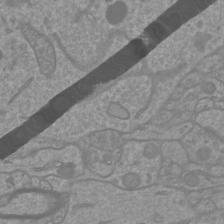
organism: Mouse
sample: Cortical neurons